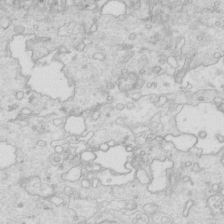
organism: Mouse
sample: Multiciliated cells